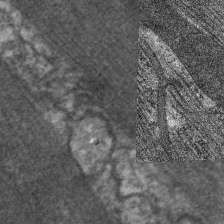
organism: C. elegans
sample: Pharynx